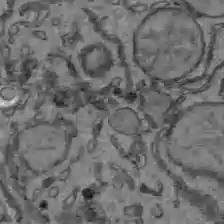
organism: C57BL Mouse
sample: Liver